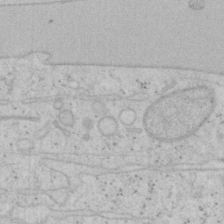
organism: Human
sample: HeLa cells